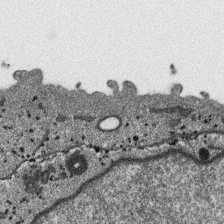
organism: Human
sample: Lung epithelial cells infected with SARS-CoV-2